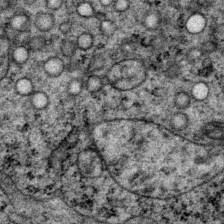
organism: P. pacificus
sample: Pharynx